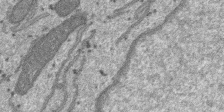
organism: Human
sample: Lung epithelial cells infected with SARS-CoV-2